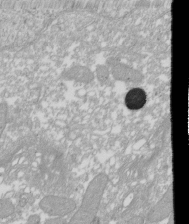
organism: Xenopus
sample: Cilia; centrioles in frog embryo cells